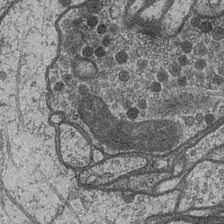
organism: Drosophila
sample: Optic medulla